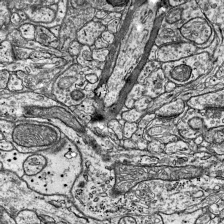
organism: Mouse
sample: Visual Cortex